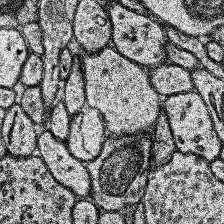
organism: Human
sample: Temporal Lobe